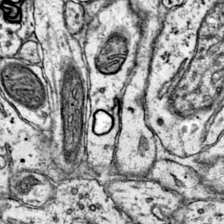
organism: Mouse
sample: Primary visual cortex